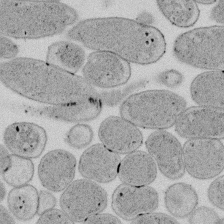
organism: E. coli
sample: Bacterial nucleoid